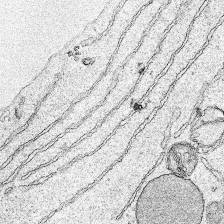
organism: Human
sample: Mitochondria in HCT116 cells